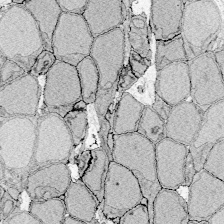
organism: Zebrafish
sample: Whole-Brain